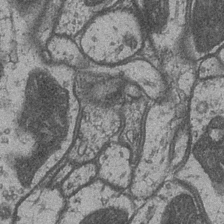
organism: Drosophila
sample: Optic medulla